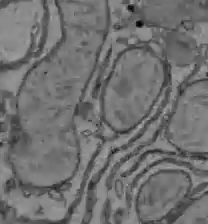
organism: C57BL Mouse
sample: Liver